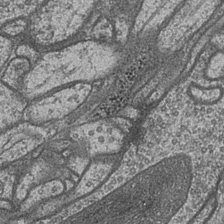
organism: Drosophila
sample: Optic medulla